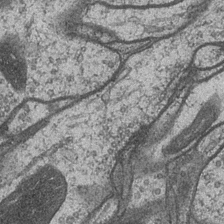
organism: Drosophila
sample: Optic medulla